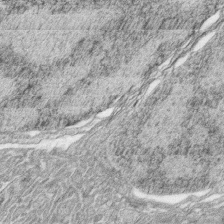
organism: Zebrafish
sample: synaptic ribbons in rod cells and cone cells